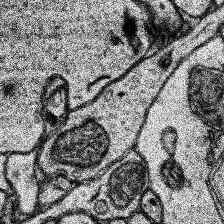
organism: Human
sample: Temporal Lobe